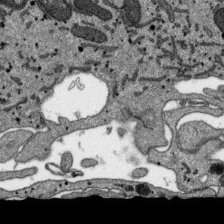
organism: Human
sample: Lung epithelial cells, uninfected (mock) control